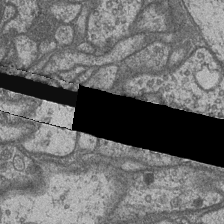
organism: Drosophila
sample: Optic medulla